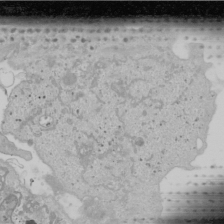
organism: Human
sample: Mitochondria in U2OS cells